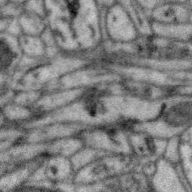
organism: Zebra finch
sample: Brain